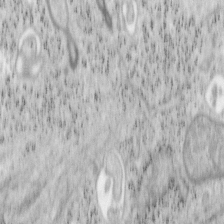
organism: Human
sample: HeLa cells